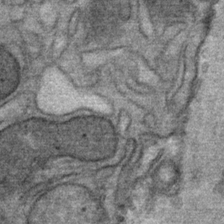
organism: Mouse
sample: Mouse Salivary gland